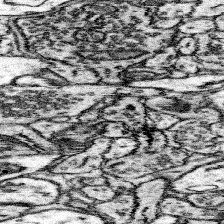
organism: Mouse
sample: Somatosensory cortex neuropil